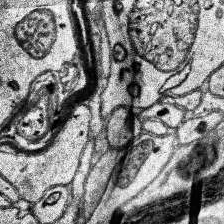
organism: Human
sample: Temporal Lobe